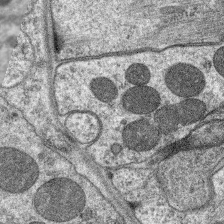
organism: C. elegans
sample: Pharynx